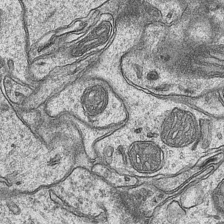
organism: Mouse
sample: CA1 Hippocampus